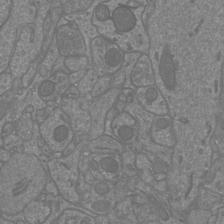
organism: Mouse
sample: Cortical neurons